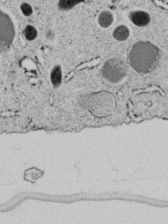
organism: C. elegans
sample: C. elegans embryo early stage